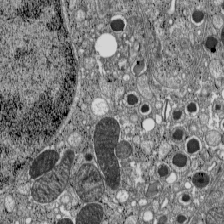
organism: C57BL Mouse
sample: Pancreatic islet